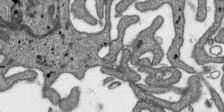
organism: Human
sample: Lung epithelial cells, uninfected (mock) control